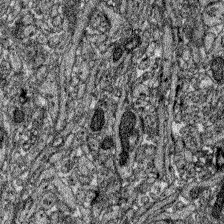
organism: Zebrafish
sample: Larval olfactory bulb